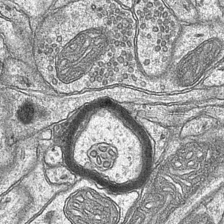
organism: Mouse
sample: CA1 Hippocampus